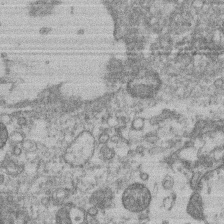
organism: Mouse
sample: T cell stromal cell synapse